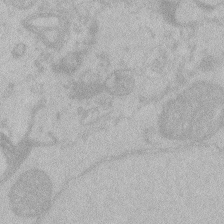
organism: Zebrafish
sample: Macrophage infected with Toxoplasma gondii